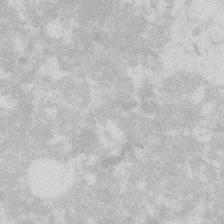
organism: Zebrafish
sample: Macrophage